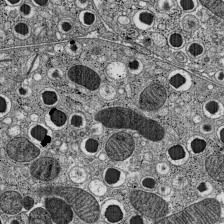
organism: C57BL Mouse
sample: Pancreatic islet